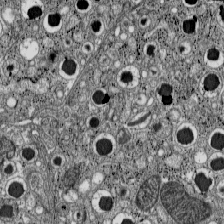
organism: C57BL Mouse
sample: Pancreatic islet